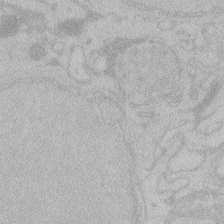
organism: Zebrafish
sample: Macrophage infected with Toxoplasma gondii